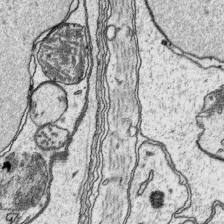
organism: Platynereis dumerilii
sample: Parapodia